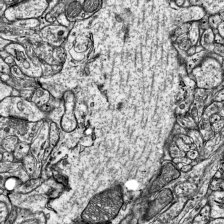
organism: Mouse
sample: Visual Cortex